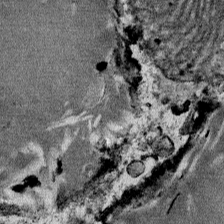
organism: Mouse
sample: Mouse Salivary gland